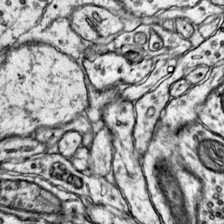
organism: Mouse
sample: Primary visual cortex